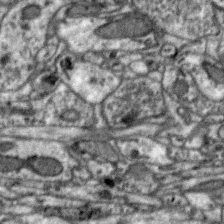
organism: Zebra finch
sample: Brain